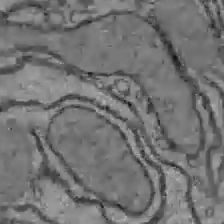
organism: C57BL Mouse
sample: Liver